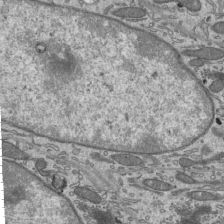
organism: Mouse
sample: Mouse epididymis efferent ductule cilia